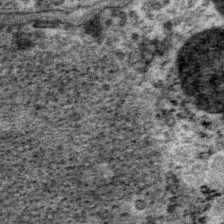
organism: P. pacificus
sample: Pharynx